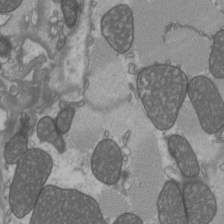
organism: C57BL Mouse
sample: Heart